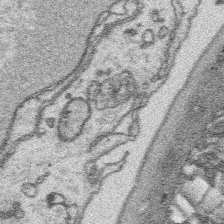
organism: Platynereis dumerilii